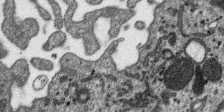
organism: Human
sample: Lung epithelial cells infected with SARS-CoV-2